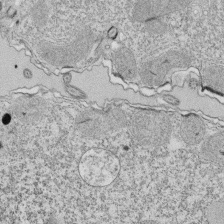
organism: Tetrahymena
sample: Cilia in tetrahymena